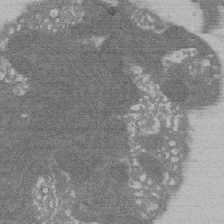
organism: Rat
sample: Salivary granule